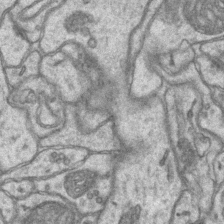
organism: Mouse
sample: CA1 Hippocampus